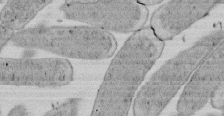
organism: E. coli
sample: Bacterial nucleoid